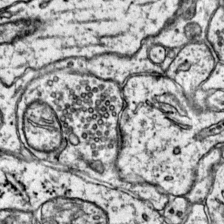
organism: Mouse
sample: Primary visual cortex